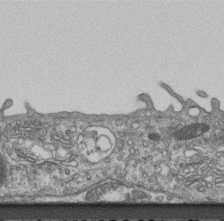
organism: Mouse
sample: Centriole in ependymal cells